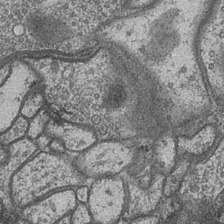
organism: Drosophila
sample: Optic medulla